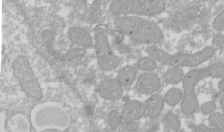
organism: Xenopus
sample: Cilia; centrioles in frog embryo cells